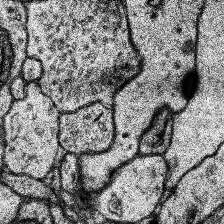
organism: Human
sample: Temporal Lobe